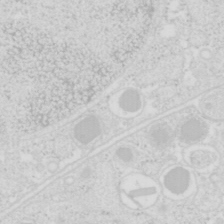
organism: Mouse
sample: Pancreas